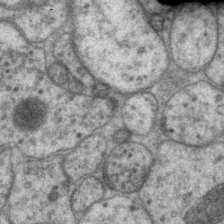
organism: P. pacificus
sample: Pharynx